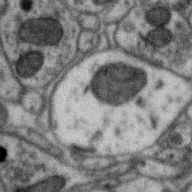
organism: Zebra finch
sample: Brain